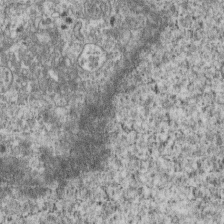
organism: Mouse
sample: Centriole in ependymal cells